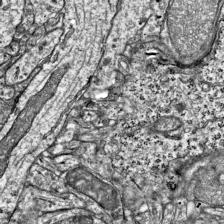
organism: Mouse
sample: Visual Cortex